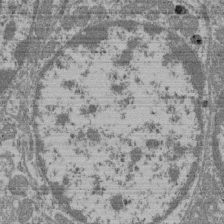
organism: Mouse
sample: Glomerulus